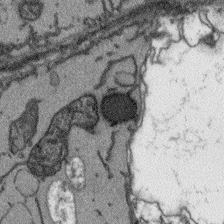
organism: Arabidopsis thaliana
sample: Root tip